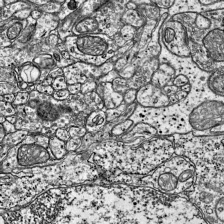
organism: Mouse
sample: Visual Cortex